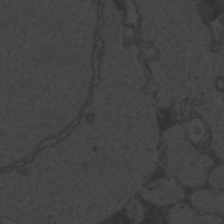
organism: Zebrafish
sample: Macrophage infected with Toxoplasma gondii